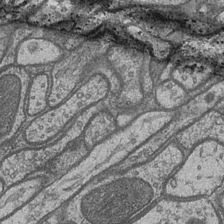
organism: Drosophila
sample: Optic medulla